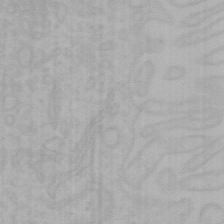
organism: Mouse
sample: Choroid plexus